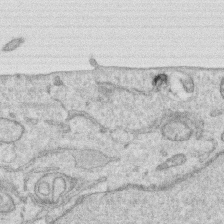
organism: Human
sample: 1205lu cells